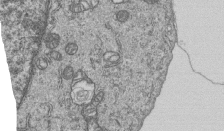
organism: Human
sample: MDA-MB-231 cells